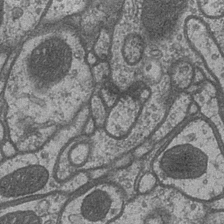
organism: Drosophila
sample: Optic medulla